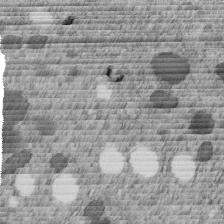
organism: C. elegans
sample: C. elegans embryo early stage